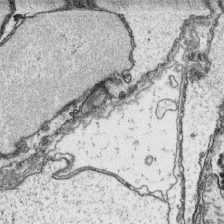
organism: Platynereis dumerilii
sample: Parapodia